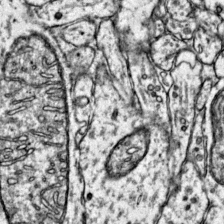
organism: Mouse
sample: Primary visual cortex